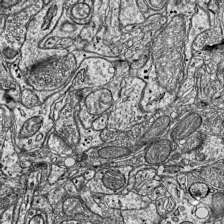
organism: Mouse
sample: Visual Cortex